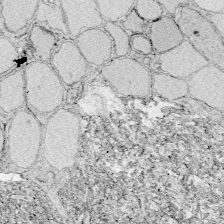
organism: Zebrafish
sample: Whole-Brain